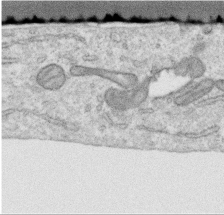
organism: Human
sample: Centriole in RPE cells